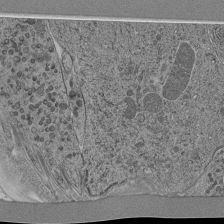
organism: C. elegans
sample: C. elegans pharynx